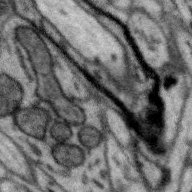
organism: Zebra finch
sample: Brain